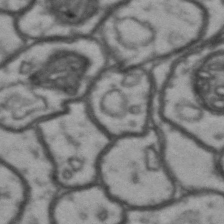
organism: Drosophila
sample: Brain